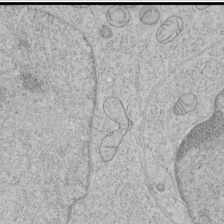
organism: Human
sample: Mitochondria in HCT116 cells